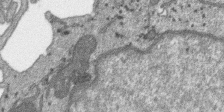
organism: Human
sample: Lung epithelial cells infected with SARS-CoV-2